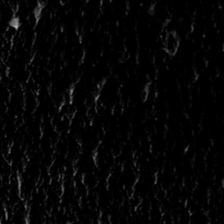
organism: Toxoplasma gondii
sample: Parasites in a vacuole inside a host cell